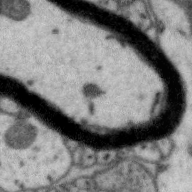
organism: Zebra finch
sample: Brain